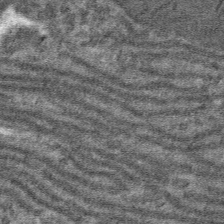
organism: Mouse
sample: Mouse hepatocytes